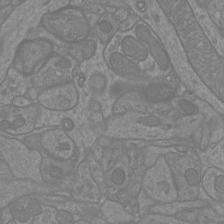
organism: Mouse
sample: Cortical neurons